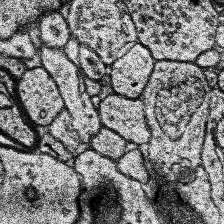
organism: Human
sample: Temporal Lobe